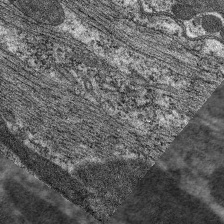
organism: C. elegans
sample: Pharynx